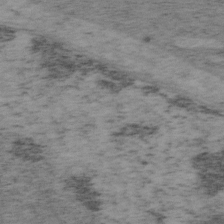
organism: Mouse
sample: OT-I killer T cells with ID8 ovarian cancer cells